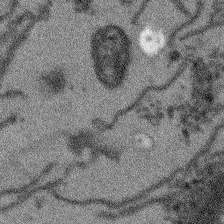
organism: Arabidopsis thaliana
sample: Root tip